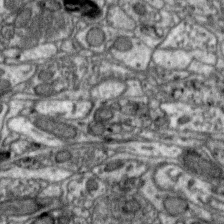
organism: Zebra finch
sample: Brain